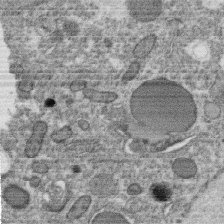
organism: C. elegans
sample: C. elegans oocyte; sperm cells